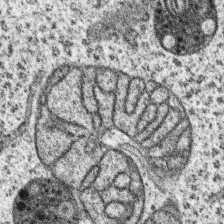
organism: Human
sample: HeLa cells